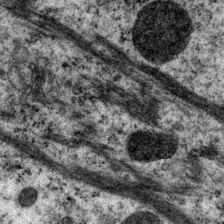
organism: P. pacificus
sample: Pharynx